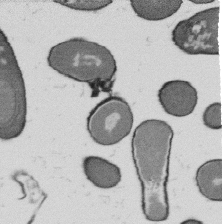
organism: B. subtilis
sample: Bacterial spore